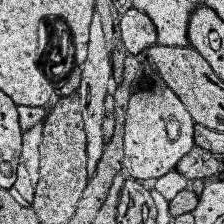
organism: Human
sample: Temporal Lobe